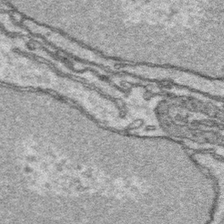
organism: Platynereis dumerilii